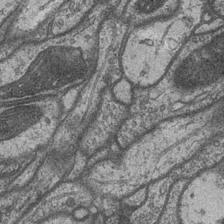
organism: Drosophila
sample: Optic medulla